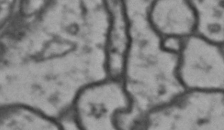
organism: Drosophila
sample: Brain